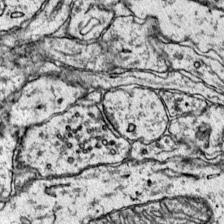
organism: Mouse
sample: Primary visual cortex